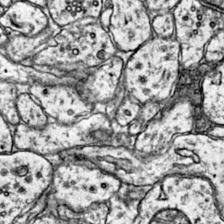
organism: Mouse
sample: Primary visual cortex